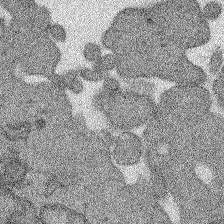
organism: Human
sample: HeLa cells